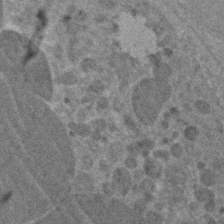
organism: Zebrafish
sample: Zebrafish embryo